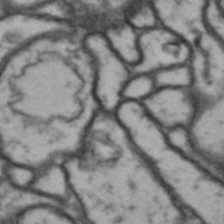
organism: Drosophila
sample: Brain